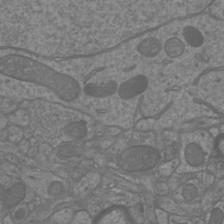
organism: Mouse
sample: Cortical neurons